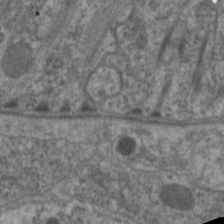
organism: C. elegans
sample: Pharynx